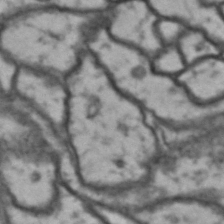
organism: Drosophila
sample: Brain